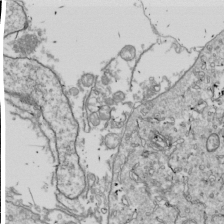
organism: Drosophila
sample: Cell division; meiosis; drosophila spermatocytes